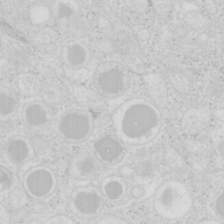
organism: Mouse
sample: Pancreas